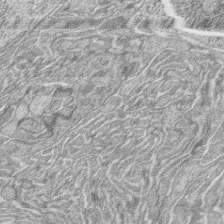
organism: Zebrafish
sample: synaptic ribbons in rod cells and cone cells